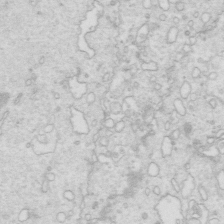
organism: Mouse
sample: Multiciliated cells